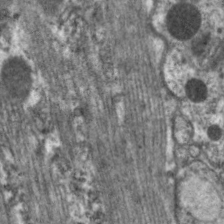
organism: C. elegans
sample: Pharynx